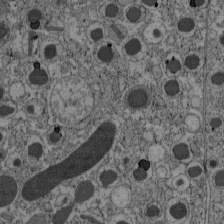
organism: C57BL Mouse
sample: Pancreatic islet